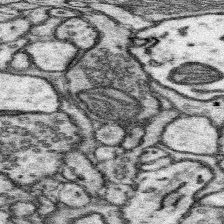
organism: Mouse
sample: Somatosensory cortex neuropil